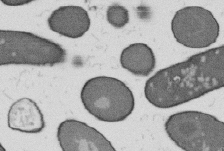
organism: B. subtilis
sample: Bacterial spore